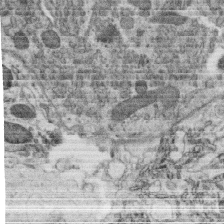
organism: C. elegans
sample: C. elegans oocyte; sperm cells